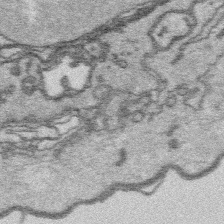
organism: Platynereis dumerilii